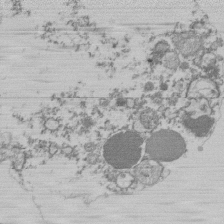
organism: Mouse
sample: Activated Pmel transgenic CD8+ T Cells